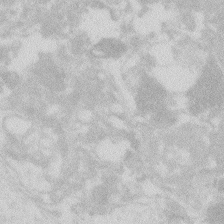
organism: Zebrafish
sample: Macrophage